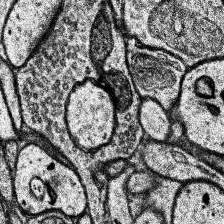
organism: Human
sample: Temporal Lobe